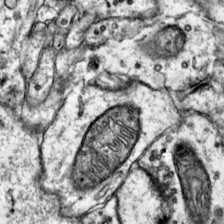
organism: Mouse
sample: Primary visual cortex